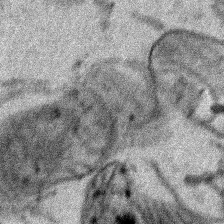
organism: Human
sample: Mitochondria in HCT116 cells